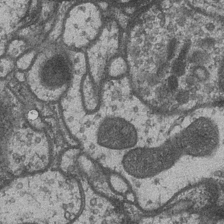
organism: Drosophila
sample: Optic medulla